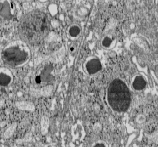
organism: C57BL Mouse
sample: Pancreatic islet